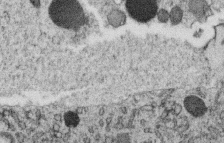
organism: C. elegans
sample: C. elegans oocyte; sperm cells